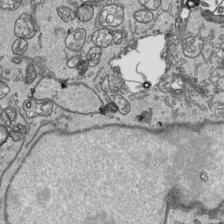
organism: Human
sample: Mitochondria in HCT116 cells